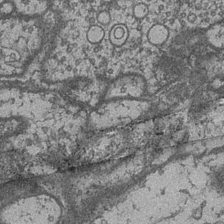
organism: Drosophila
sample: Optic medulla